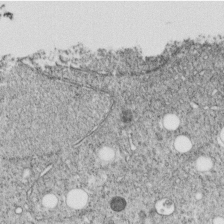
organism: C. elegans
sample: C. elegans embryo early stage